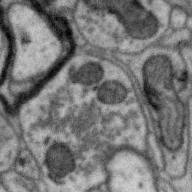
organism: Zebra finch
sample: Brain